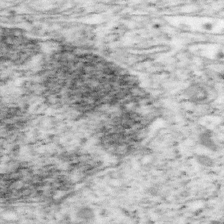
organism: Mouse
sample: OT-I killer T cells with ID8 ovarian cancer cells